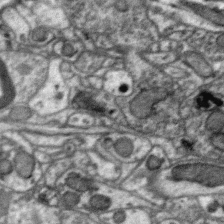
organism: Zebra finch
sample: Brain